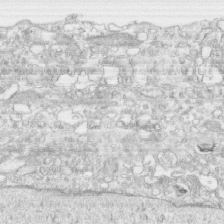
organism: Human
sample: CRL-1474